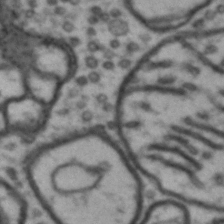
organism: Drosophila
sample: Brain